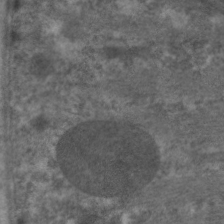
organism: C. elegans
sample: Pharynx